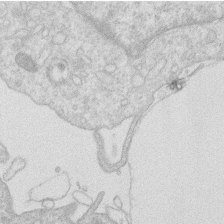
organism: Human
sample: Macrophage cells